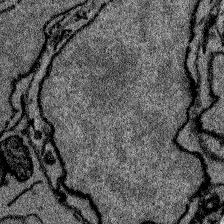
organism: Zebrafish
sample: Larval olfactory bulb